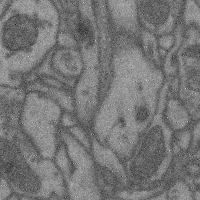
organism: Mouse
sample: Cerebral cortex